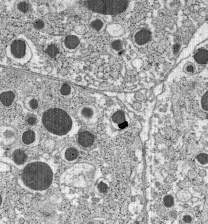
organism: C57BL Mouse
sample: Pancreatic islet